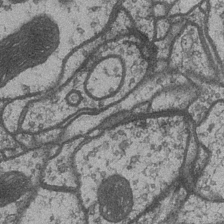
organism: Drosophila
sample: Optic medulla